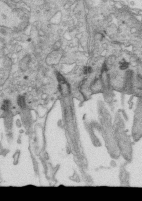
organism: Mouse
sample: Multiciliated cells